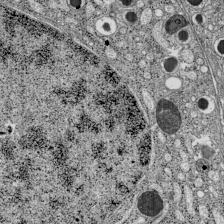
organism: C57BL Mouse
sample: Pancreatic islet